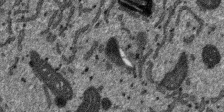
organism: Human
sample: Lung epithelial cells infected with SARS-CoV-2